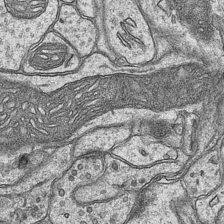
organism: Mouse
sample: CA1 Hippocampus